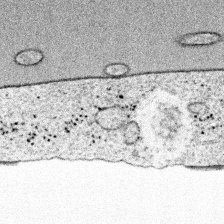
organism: Human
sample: HeLa cells